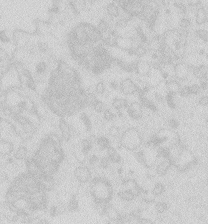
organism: Zebrafish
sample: Macrophage